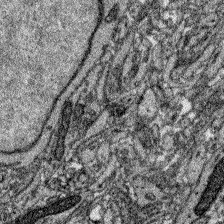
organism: Zebrafish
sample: Larval olfactory bulb